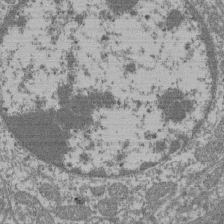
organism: Mouse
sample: Glomerulus